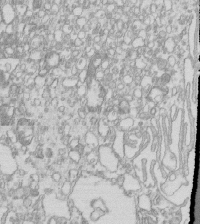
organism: Mouse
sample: Macrophages